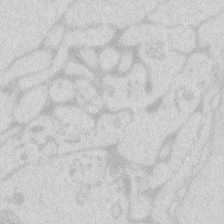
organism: Zebrafish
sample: Macrophage